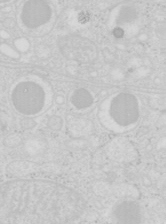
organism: Mouse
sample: Pancreas